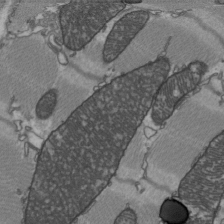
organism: C57BL Mouse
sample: Heart